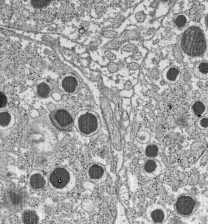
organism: C57BL Mouse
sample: Pancreatic islet